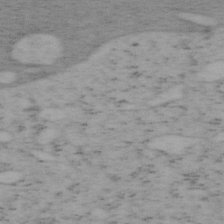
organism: Mouse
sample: OT-I killer T cells with ID8 ovarian cancer cells